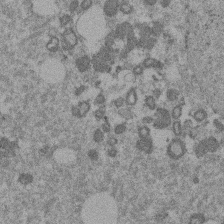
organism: Mouse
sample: Dividing mouse embryo 1 cell stage